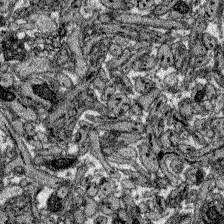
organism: Zebrafish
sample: Larval olfactory bulb